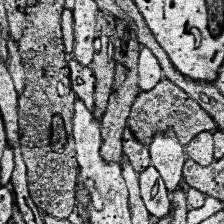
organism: Human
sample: Temporal Lobe